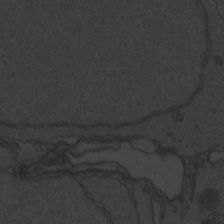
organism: Zebrafish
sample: Macrophage infected with Toxoplasma gondii